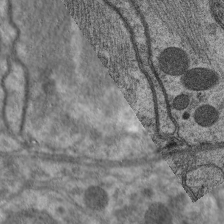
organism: C. elegans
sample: Pharynx